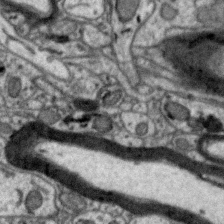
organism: Zebra finch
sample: Brain